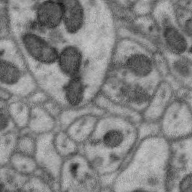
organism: Zebra finch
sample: Brain